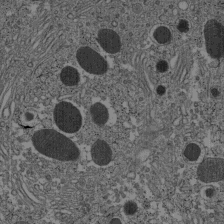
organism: C57BL Mouse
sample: Pancreatic islet